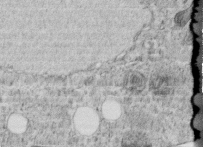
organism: C. elegans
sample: C. elegans embryo early stage